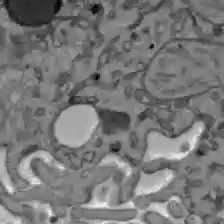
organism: C57BL Mouse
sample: Liver